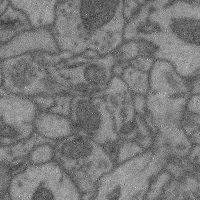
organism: Mouse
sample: Cerebral cortex